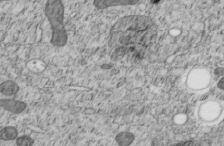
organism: C. elegans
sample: C. elegans embryo early stage